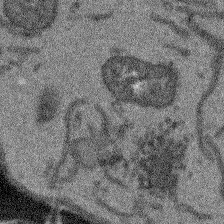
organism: Arabidopsis thaliana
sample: Root tip